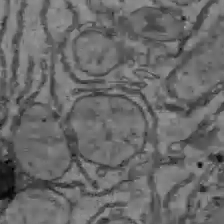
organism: C57BL Mouse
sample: Liver